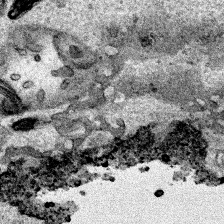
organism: Human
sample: Mitochondria in HCT116 cells